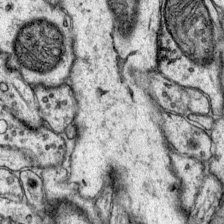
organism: Mouse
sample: Primary visual cortex